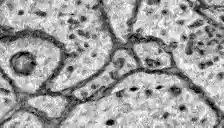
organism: Zebrafish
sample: Brain